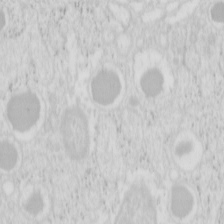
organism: Mouse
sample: Pancreas